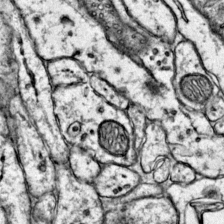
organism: Mouse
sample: Primary visual cortex